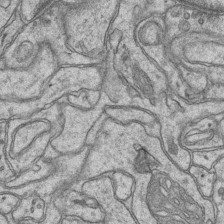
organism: Mouse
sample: CA1 Hippocampus